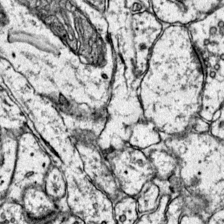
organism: Mouse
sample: Primary visual cortex